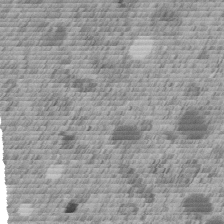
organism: C. elegans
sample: C. elegans embryo early stage